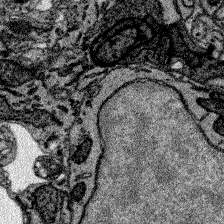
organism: Zebrafish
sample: Larval olfactory bulb